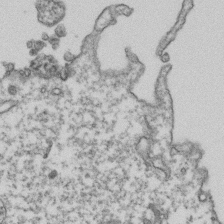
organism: Human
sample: Activated Jurkat CD4+ T cells